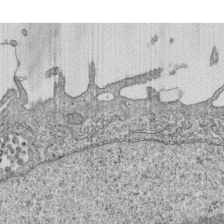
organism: Human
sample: HeLa cell HIV synapse